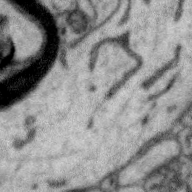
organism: Zebra finch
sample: Brain